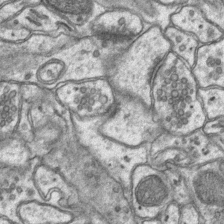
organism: Mouse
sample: CA1 Hippocampus